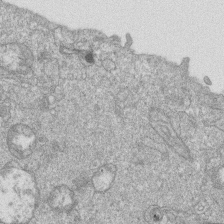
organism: Human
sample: HeLa cell HIV synapse